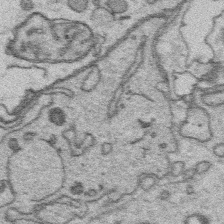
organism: Platynereis dumerilii